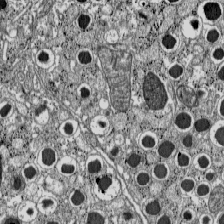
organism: C57BL Mouse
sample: Pancreatic islet